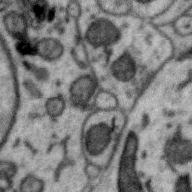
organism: Zebra finch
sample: Brain